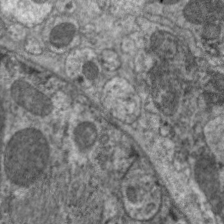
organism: C. elegans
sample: Pharynx